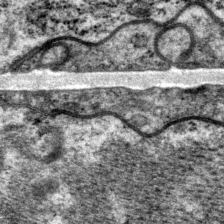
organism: P. pacificus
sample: Pharynx